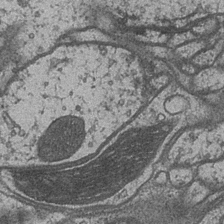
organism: Drosophila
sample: Optic medulla